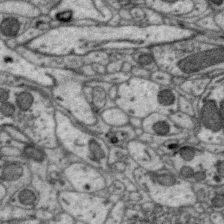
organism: Zebra finch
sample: Brain